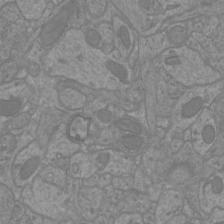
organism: Mouse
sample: Cortical neurons